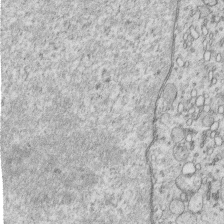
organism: Human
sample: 1205lu cells